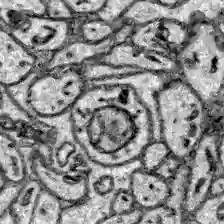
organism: Zebrafish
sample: Brain